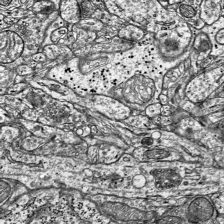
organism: Mouse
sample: Visual Cortex